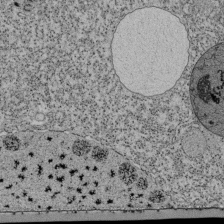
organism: Tetrahymena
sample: Cilia in tetrahymena